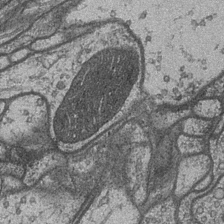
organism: Drosophila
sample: Optic medulla